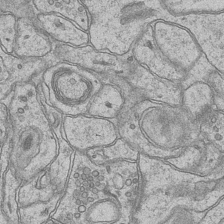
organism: Mouse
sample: CA1 Hippocampus